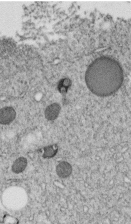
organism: C. elegans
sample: C. elegans embryo early stage